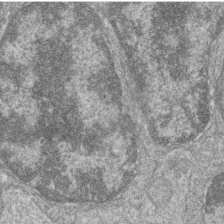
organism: Zebrafish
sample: Cilia; retinal pigment epithelium